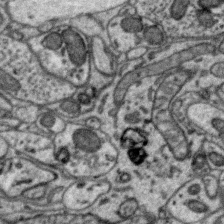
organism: Zebra finch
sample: Brain